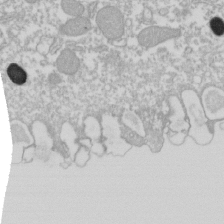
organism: Xenopus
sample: Cilia; centrioles in frog embryo cells